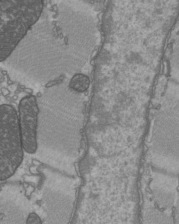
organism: C57BL Mouse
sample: Heart